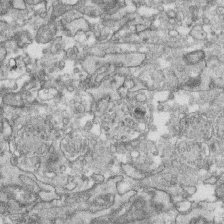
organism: Human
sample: CRL-1474